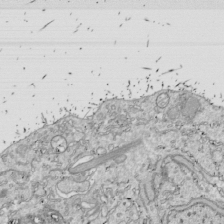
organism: Drosophila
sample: Cell division; meiosis; drosophila spermatocytes